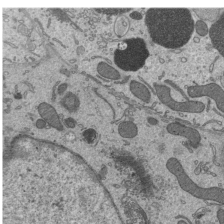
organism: Mouse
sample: Mouse epididymis efferent ductule cilia